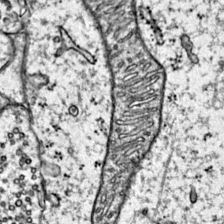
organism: Mouse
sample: Primary visual cortex